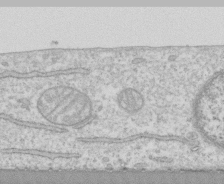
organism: Human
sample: CRL-1474